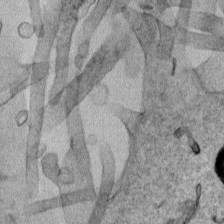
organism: Human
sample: Mitochondria in HCT116 cells